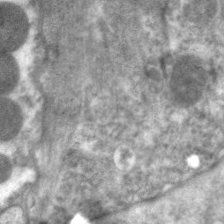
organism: C. elegans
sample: Pharynx